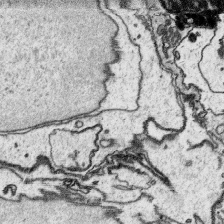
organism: Platynereis dumerilii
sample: Parapodia